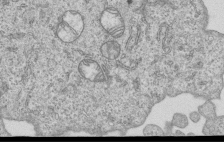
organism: Human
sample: MDA-MB-231 cells